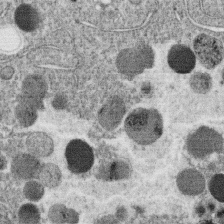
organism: C. elegans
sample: C. elegans oocyte; sperm cells